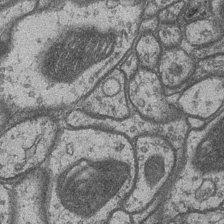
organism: Drosophila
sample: Optic medulla